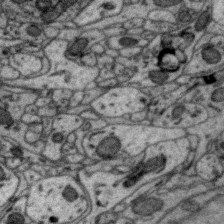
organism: Zebra finch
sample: Brain